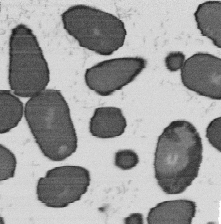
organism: B. subtilis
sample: Bacterial spore